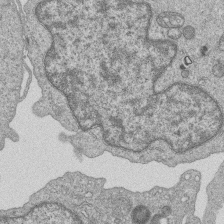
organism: Human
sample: MDA-MB-231 cells